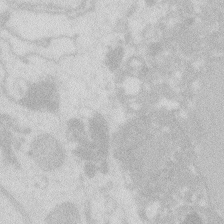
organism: Zebrafish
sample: Macrophage